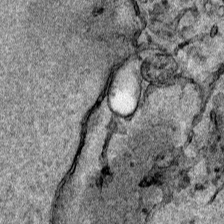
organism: Human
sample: Mitochondria in HCT116 cells